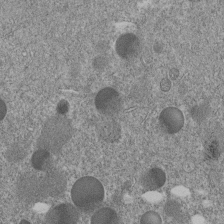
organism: C. elegans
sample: C. elegans embryo early stage